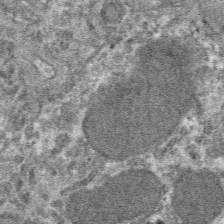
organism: Mouse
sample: Mouse hepatocytes